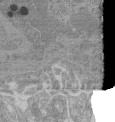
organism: Mouse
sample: Glomerulus